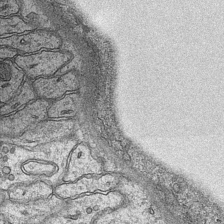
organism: Mouse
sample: CA1 Hippocampus